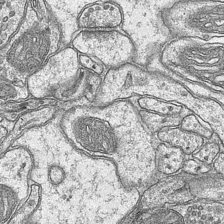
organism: Mouse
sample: CA1 Hippocampus